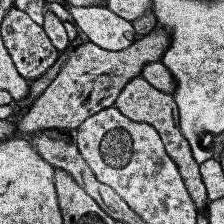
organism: Human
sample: Temporal Lobe